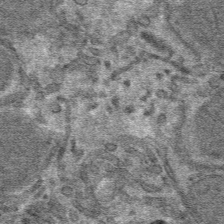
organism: Mouse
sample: Mouse hepatocytes